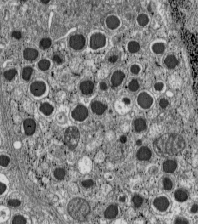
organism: C57BL Mouse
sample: Pancreatic islet